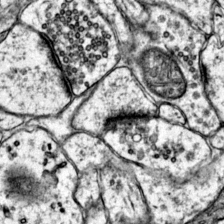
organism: Mouse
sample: Primary visual cortex